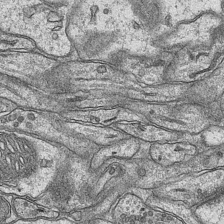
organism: Mouse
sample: CA1 Hippocampus